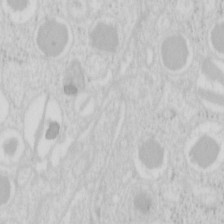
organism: Mouse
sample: Pancreas